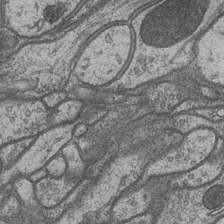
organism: Drosophila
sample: Optic medulla